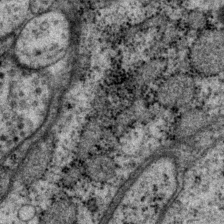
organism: P. pacificus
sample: Pharynx